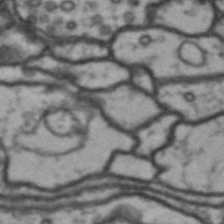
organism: Drosophila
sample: Brain